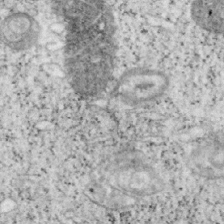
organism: Mouse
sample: OT-I killer T cells with ID8 ovarian cancer cells